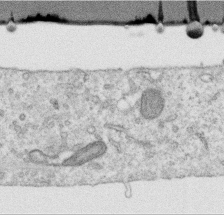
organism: Human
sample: Centriole in RPE cells